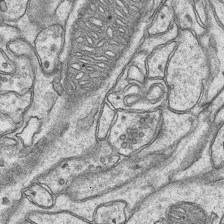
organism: Mouse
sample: CA1 Hippocampus